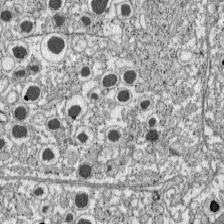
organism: C57BL Mouse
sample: Pancreatic islet